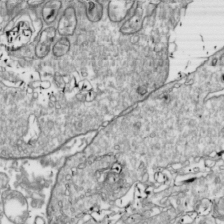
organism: Drosophila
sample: Cell division; meiosis; drosophila spermatocytes